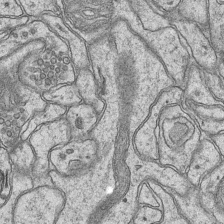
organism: Mouse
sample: CA1 Hippocampus